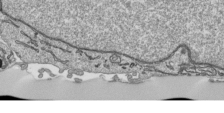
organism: Human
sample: Mitochondria in HCT116 cells